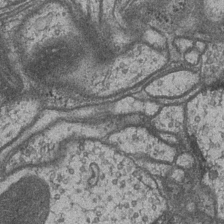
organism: Drosophila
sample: Optic medulla